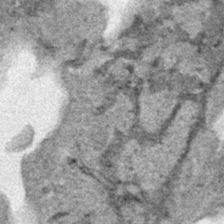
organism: Human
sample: Mitochondria in HCT116 cells